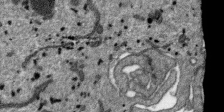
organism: Human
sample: Lung epithelial cells, uninfected (mock) control